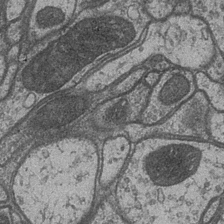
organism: Drosophila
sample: Optic medulla